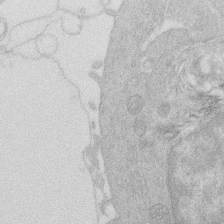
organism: Human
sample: Macrophage cells